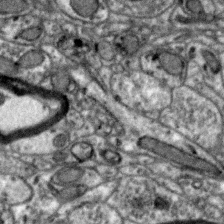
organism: Zebra finch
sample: Brain